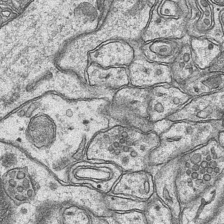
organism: Mouse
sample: CA1 Hippocampus